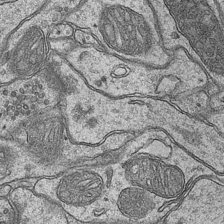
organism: Mouse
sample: CA1 Hippocampus